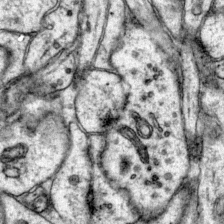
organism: Mouse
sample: Primary visual cortex